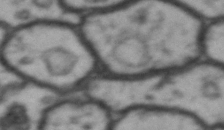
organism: Drosophila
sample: Brain